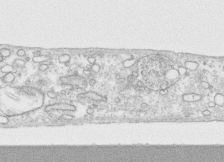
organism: Human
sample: CRL-1474